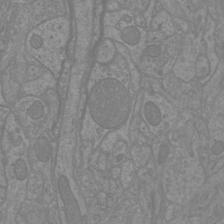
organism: Mouse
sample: Cortical neurons